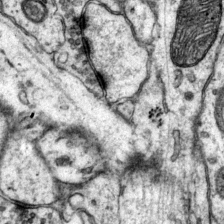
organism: Mouse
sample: Primary visual cortex